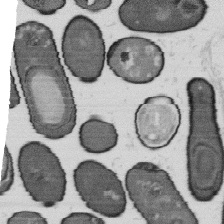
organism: B. subtilis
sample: Bacterial spore